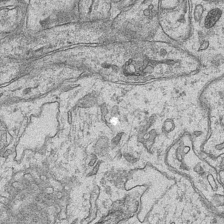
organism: Mouse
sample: CA1 Hippocampus